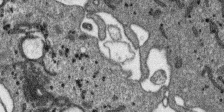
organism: Human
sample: Lung epithelial cells infected with SARS-CoV-2